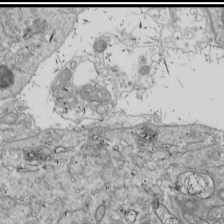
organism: Drosophila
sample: Cell division; meiosis; drosophila spermatocytes